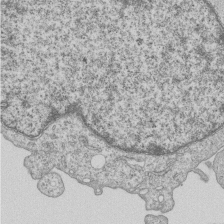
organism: Human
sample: MDA-MB-231 cells